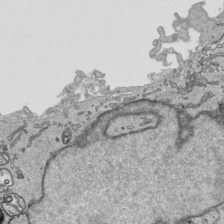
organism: Human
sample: Mitochondria in HCT116 cells